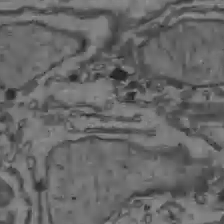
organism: C57BL Mouse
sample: Liver